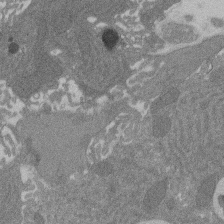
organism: Rat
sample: Salivary granule